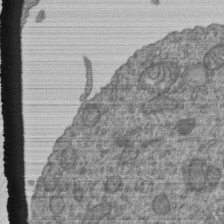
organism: Human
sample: Retinal organoid Rod and Cone cells